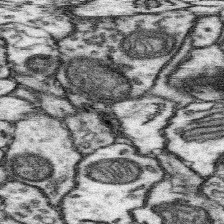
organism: Mouse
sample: Somatosensory cortex neuropil